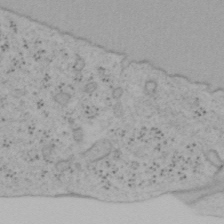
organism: Human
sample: HeLa cells